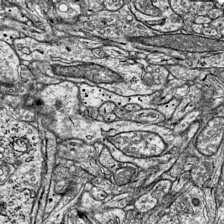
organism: Mouse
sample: Visual Cortex